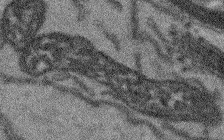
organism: Arabidopsis thaliana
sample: Root tip